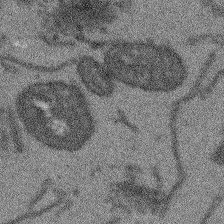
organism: Arabidopsis thaliana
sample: Root tip